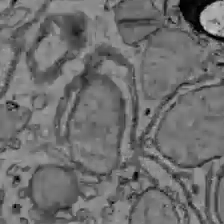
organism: C57BL Mouse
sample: Liver